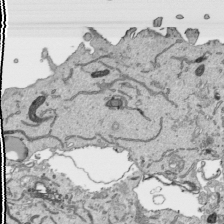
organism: Human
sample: Mitochondria in HCT116 cells